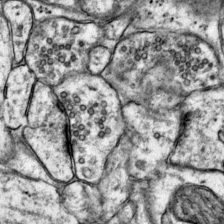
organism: Mouse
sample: Primary visual cortex